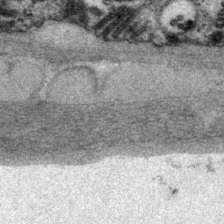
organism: P. pacificus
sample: Pharynx